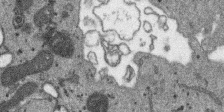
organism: Human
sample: Lung epithelial cells infected with SARS-CoV-2